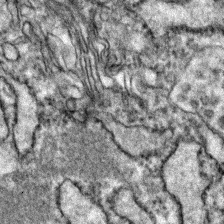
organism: Zebrafish